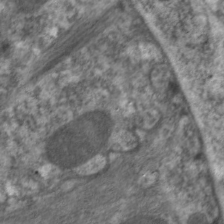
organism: C. elegans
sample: Pharynx